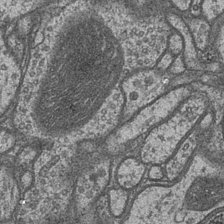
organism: Drosophila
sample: Optic medulla